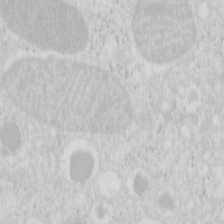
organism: Mouse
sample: Pancreas